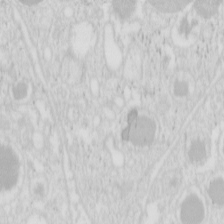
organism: Mouse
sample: Pancreas